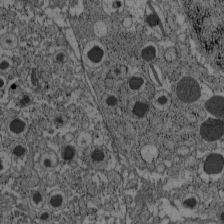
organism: C57BL Mouse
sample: Pancreatic islet